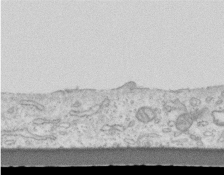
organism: Mouse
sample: Centriole in ependymal cells